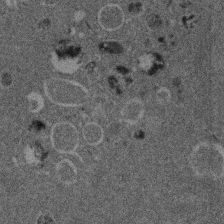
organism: Mouse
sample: Dividing mouse embryo 1 cell stage